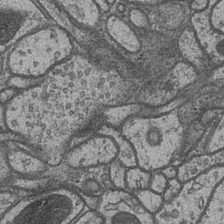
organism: Drosophila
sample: Optic medulla